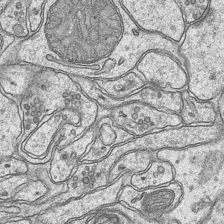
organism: Mouse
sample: CA1 Hippocampus